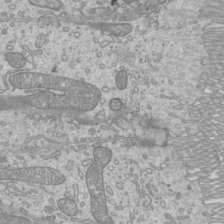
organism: Mouse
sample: Cilia; mouse epididymis